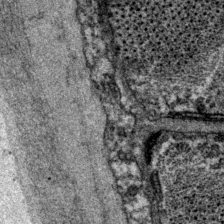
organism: P. pacificus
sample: Pharynx